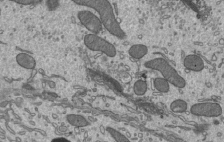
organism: Mouse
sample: Mouse epididymis efferent ductule cilia